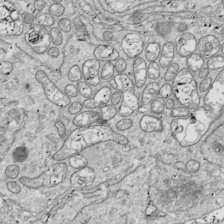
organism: Drosophila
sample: Cell division; meiosis; drosophila spermatocytes